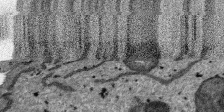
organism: Human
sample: Lung epithelial cells, uninfected (mock) control